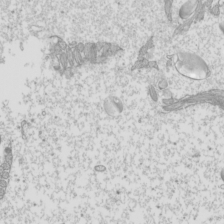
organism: Mouse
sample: Cilia; mouse epididymis